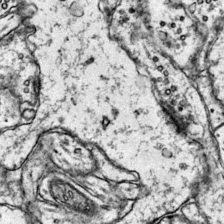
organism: Mouse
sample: Primary visual cortex